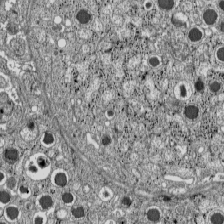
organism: C57BL Mouse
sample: Pancreatic islet